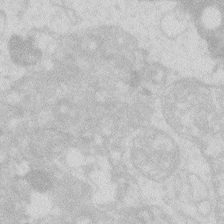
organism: Zebrafish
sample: Macrophage